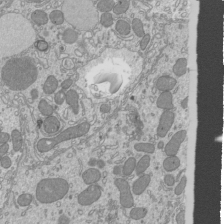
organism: Mouse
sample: Cilia; mouse epididymis